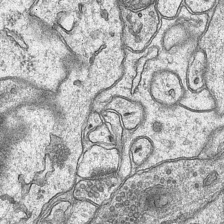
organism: Mouse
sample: CA1 Hippocampus